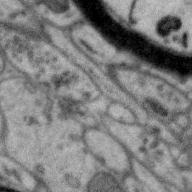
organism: Zebra finch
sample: Brain